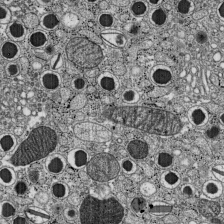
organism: C57BL Mouse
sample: Pancreatic islet